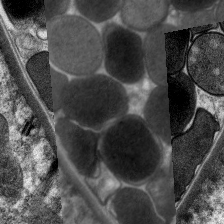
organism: C. elegans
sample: Pharynx